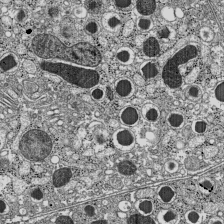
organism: C57BL Mouse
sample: Pancreatic islet